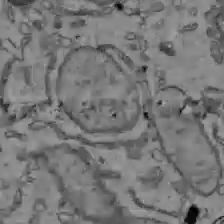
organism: C57BL Mouse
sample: Liver